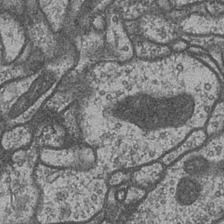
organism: Drosophila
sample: Optic medulla